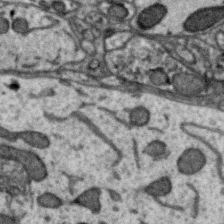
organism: Zebra finch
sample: Brain